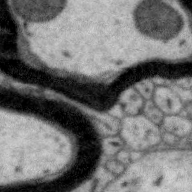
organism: Zebra finch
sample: Brain